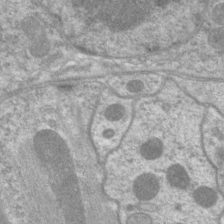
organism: C. elegans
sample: Pharynx